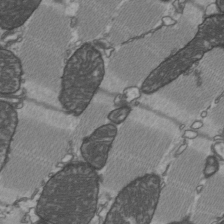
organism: C57BL Mouse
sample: Heart